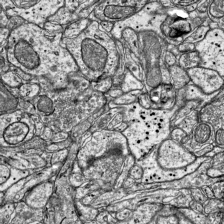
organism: Mouse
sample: Visual Cortex